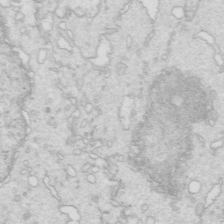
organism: Mouse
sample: Multiciliated cells